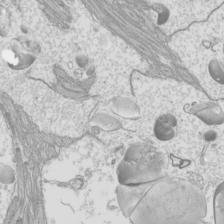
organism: Mouse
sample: Cilia; mouse epididymis